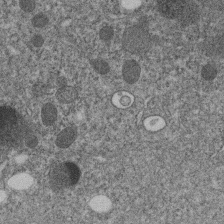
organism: C. elegans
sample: C. elegans embryo early stage